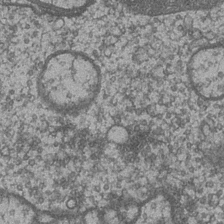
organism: Drosophila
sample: Optic medulla